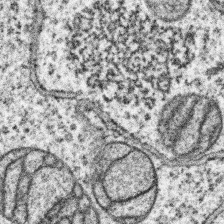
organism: Human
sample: HeLa cells